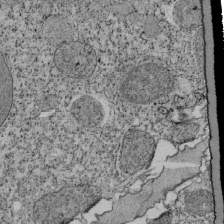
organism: Tetrahymena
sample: Cilia in tetrahymena